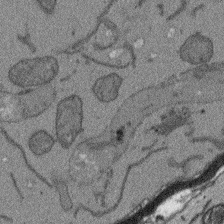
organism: Arabidopsis thaliana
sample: Root tip